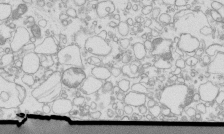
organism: Mouse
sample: Macrophages